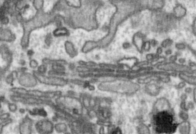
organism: Toxoplasma gondii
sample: Parasites in a vacuole inside a host cell